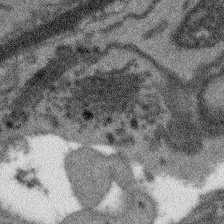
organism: Arabidopsis thaliana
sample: Root tip